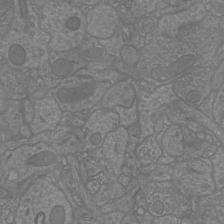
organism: Mouse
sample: Cortical neurons